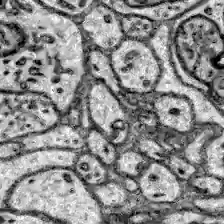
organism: Zebrafish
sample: Brain